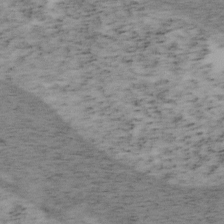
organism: Mouse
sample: OT-I killer T cells with ID8 ovarian cancer cells